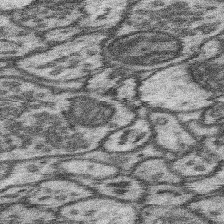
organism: Mouse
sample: Somatosensory cortex neuropil